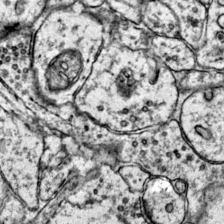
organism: Mouse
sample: Primary visual cortex